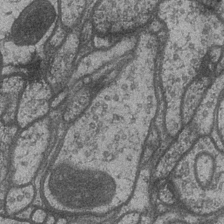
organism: Drosophila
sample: Optic medulla